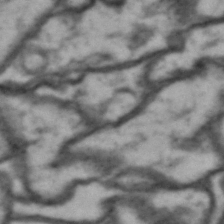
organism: Drosophila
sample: Brain